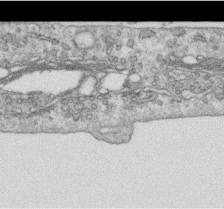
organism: Human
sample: Centriole in RPE cells